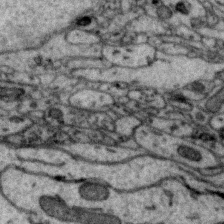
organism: Zebra finch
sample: Brain